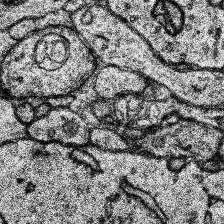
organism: Human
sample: Temporal Lobe